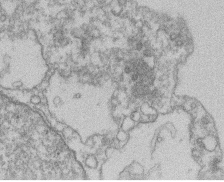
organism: Mouse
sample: T cell stromal cell synapse